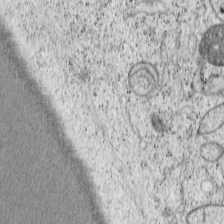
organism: African green monkey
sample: COS-7 cells